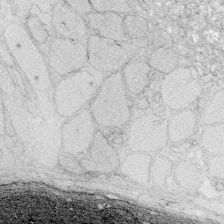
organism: Zebrafish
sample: Whole-Brain